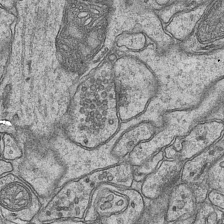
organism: Mouse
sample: CA1 Hippocampus